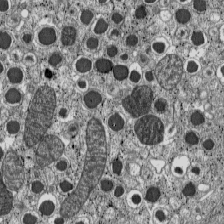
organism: C57BL Mouse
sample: Pancreatic islet